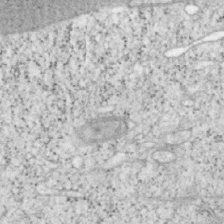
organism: Mouse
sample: OT-I killer T cells with ID8 ovarian cancer cells